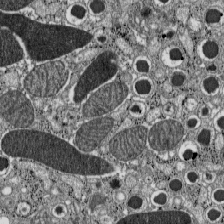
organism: C57BL Mouse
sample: Pancreatic islet